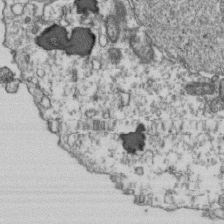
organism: Human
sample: Activated Jurkat CD4+ T cells